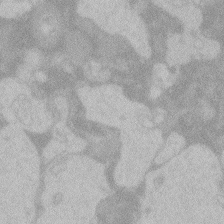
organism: Zebrafish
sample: Macrophage infected with Toxoplasma gondii